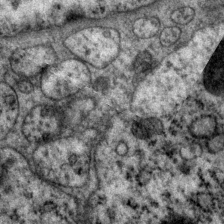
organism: P. pacificus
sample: Pharynx